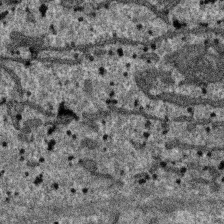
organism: Human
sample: Lung epithelial cells infected with SARS-CoV-2